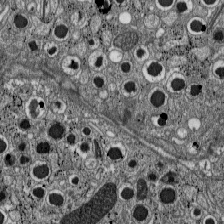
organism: C57BL Mouse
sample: Pancreatic islet